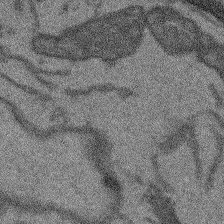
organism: Arabidopsis thaliana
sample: Root tip